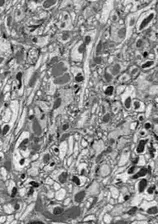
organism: Drosophila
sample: Optic lobe